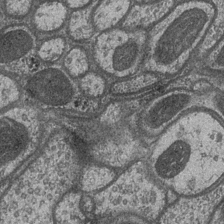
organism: Drosophila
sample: Optic medulla